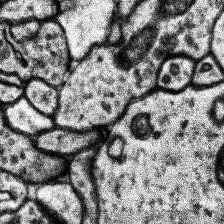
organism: Human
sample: Temporal Lobe